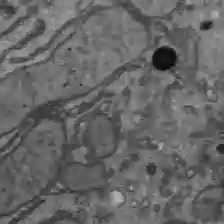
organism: C57BL Mouse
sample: Liver